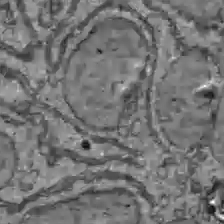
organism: C57BL Mouse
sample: Liver